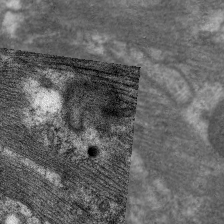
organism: C. elegans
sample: Pharynx